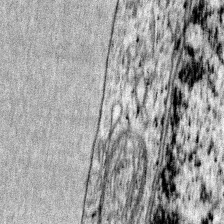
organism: Human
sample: HeLa cells